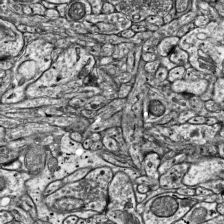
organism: Mouse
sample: Visual Cortex